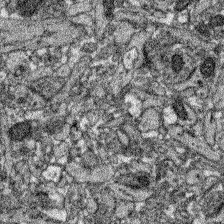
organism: Zebrafish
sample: Larval olfactory bulb